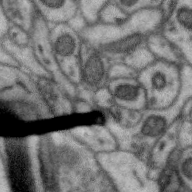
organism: Zebra finch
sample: Brain